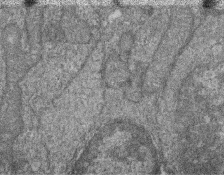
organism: Zebrafish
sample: Cilia; retinal pigment epithelium